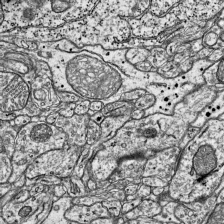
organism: Mouse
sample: Visual Cortex